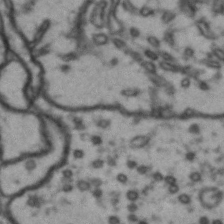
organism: Drosophila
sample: Brain